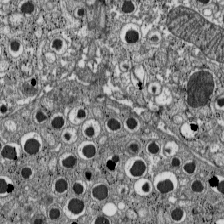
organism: C57BL Mouse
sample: Pancreatic islet